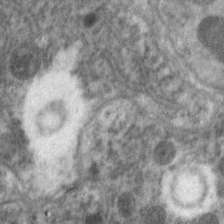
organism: C. elegans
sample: Pharynx